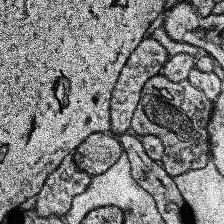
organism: Human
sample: Temporal Lobe